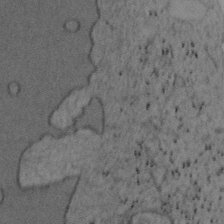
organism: Human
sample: HeLa cells